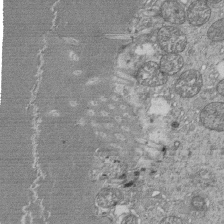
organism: Tetrahymena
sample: Cilia in tetrahymena